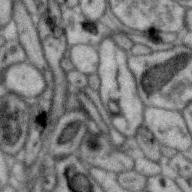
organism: Zebra finch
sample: Brain